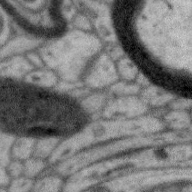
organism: Zebra finch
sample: Brain